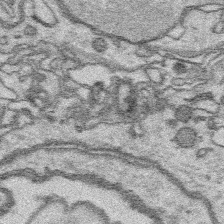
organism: Platynereis dumerilii